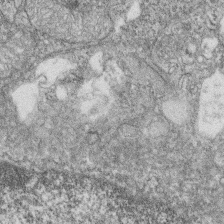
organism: Zebrafish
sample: Cilia; retinal pigment epithelium